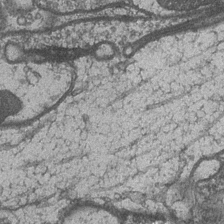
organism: Drosophila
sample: Optic medulla